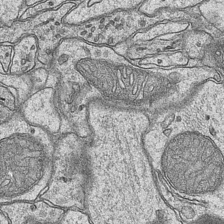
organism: Mouse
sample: CA1 Hippocampus